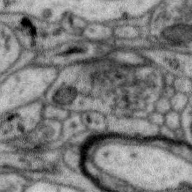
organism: Zebra finch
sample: Brain